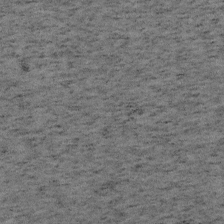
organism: Mouse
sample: OT-I killer T cells with ID8 ovarian cancer cells